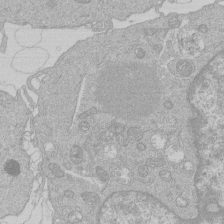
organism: Human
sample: Macrophage cells